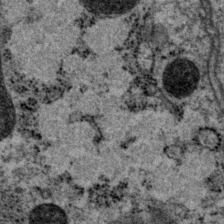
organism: P. pacificus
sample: Pharynx